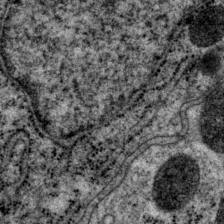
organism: P. pacificus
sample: Pharynx